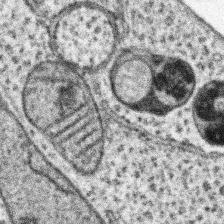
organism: Human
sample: HeLa cells